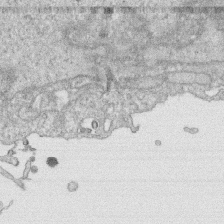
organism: Human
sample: HeLa cell HIV synapse